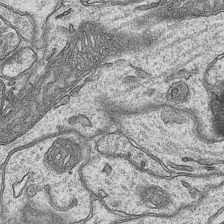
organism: Mouse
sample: CA1 Hippocampus